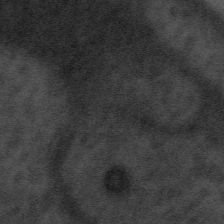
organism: Tuwongella immobilis